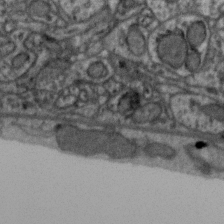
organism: Zebra finch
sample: Brain